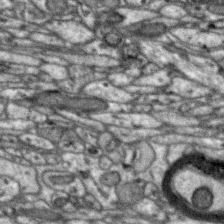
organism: Zebra finch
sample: Brain